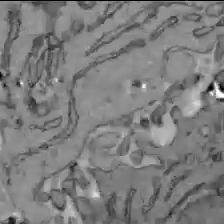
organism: C57BL Mouse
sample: Liver